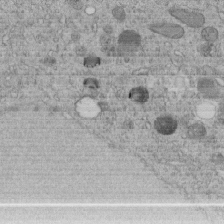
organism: C. elegans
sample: C. elegans embryo early stage